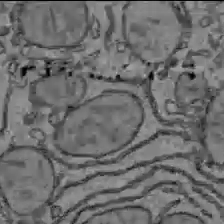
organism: C57BL Mouse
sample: Liver